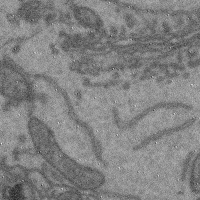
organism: Mouse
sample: Cerebral cortex